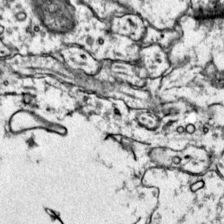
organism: Mouse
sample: Primary visual cortex